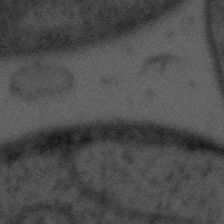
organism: Tuwongella immobilis